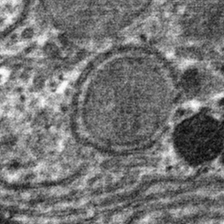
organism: Mouse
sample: Mouse hepatocytes